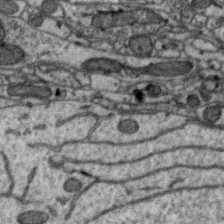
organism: Zebra finch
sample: Brain